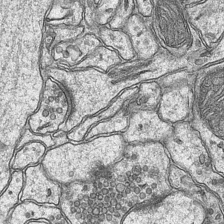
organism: Mouse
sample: CA1 Hippocampus